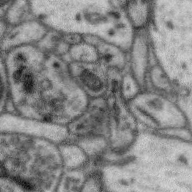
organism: Zebra finch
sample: Brain